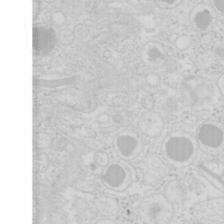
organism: Mouse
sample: Pancreas